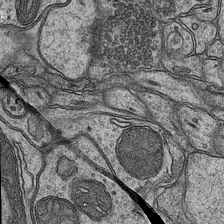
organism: Mouse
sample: CA1 Hippocampus